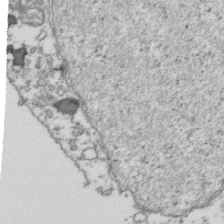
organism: Human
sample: Activated Jurkat CD4+ T cells